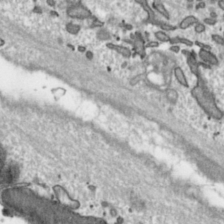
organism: Toxoplasma gondii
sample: Parasites in a vacuole inside a host cell